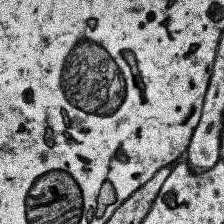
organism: Human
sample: Temporal Lobe